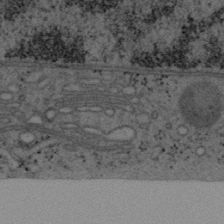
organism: Human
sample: HeLa cells